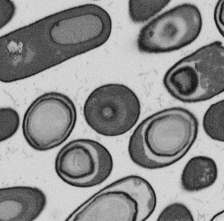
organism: B. subtilis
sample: Bacterial spore